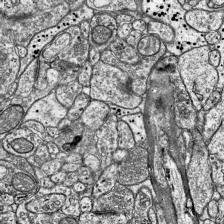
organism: Mouse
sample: Visual Cortex